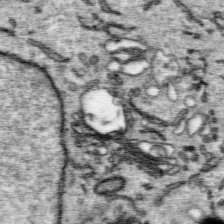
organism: Human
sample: HeLa cells